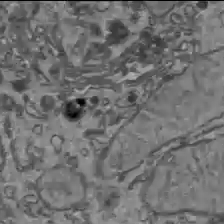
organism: C57BL Mouse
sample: Liver